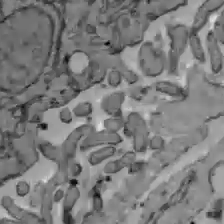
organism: C57BL Mouse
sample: Liver